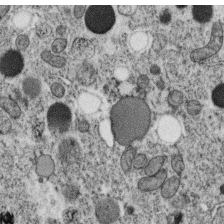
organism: C. elegans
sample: C. elegans oocyte; sperm cells